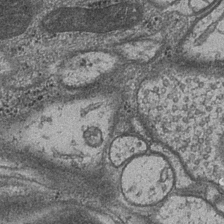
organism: Drosophila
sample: Optic medulla